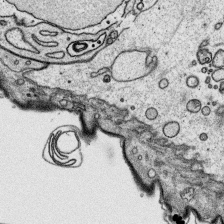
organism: Platynereis dumerilii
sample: Parapodia